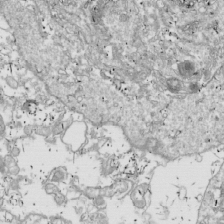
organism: Drosophila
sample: Cell division; meiosis; drosophila spermatocytes